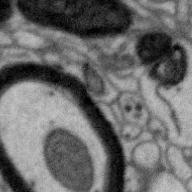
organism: Zebra finch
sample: Brain